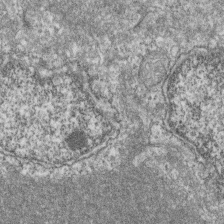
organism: Zebrafish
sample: Cilia; retinal pigment epithelium